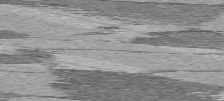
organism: C57BL Mouse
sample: Heart